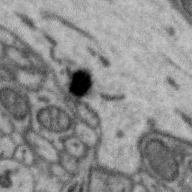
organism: Zebra finch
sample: Brain